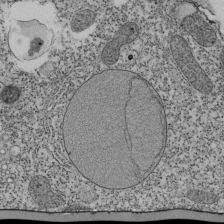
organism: Tetrahymena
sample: Cilia in tetrahymena